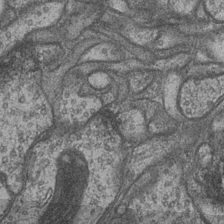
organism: Drosophila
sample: Optic medulla